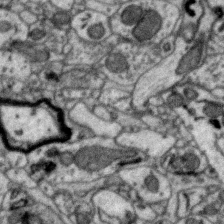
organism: Zebra finch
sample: Brain